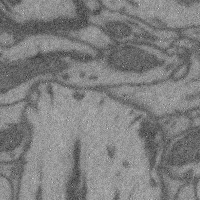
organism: Mouse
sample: Cerebral cortex